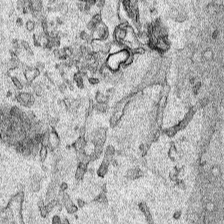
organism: Human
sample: Mitochondria in HCT116 cells